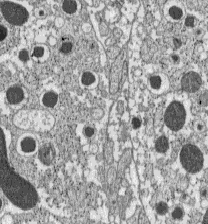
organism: C57BL Mouse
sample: Pancreatic islet